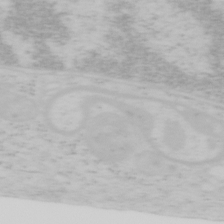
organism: Mouse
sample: OT-I killer T cells with ID8 ovarian cancer cells